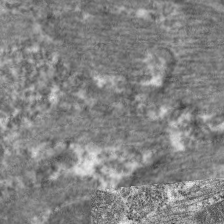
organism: C. elegans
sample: Pharynx